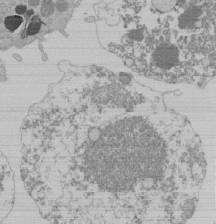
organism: Mouse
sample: Activated Pmel transgenic CD8+ T Cells